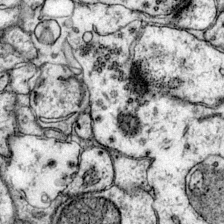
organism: Mouse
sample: Primary visual cortex